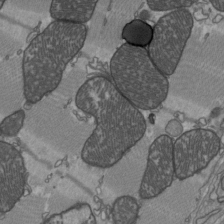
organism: C57BL Mouse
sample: Heart